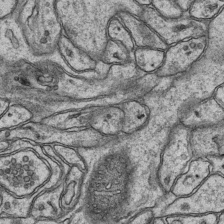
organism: Mouse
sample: CA1 Hippocampus